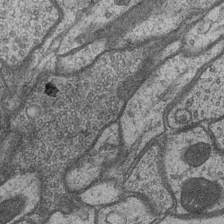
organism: Drosophila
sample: Optic medulla